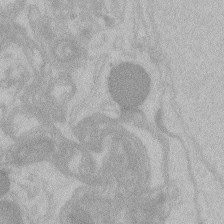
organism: Zebrafish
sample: Macrophage infected with Toxoplasma gondii